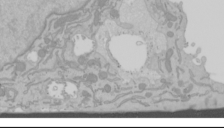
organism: Mouse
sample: Cancer cell death in ED-1 cells